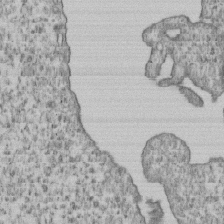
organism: Human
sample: MDA-MB-231 cells